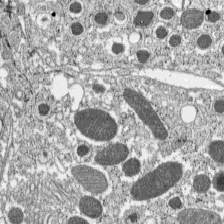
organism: C57BL Mouse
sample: Pancreatic islet